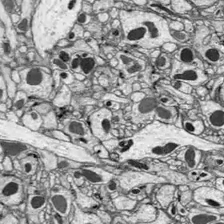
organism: Drosophila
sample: Optic lobe